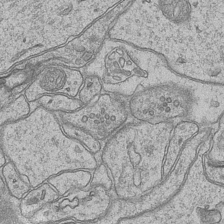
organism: Mouse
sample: CA1 Hippocampus